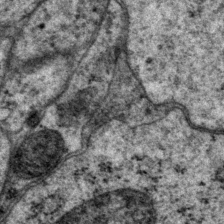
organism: P. pacificus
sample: Pharynx